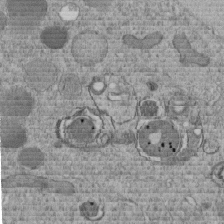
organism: C. elegans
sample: C. elegans embryo early stage